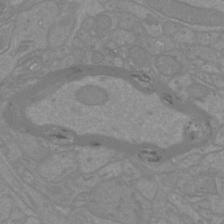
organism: Mouse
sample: Cortical neurons